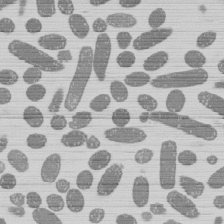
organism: E. coli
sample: Bacterial nucleoid